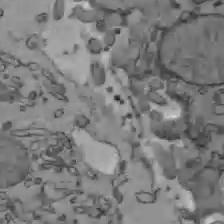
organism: C57BL Mouse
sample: Liver